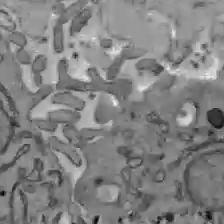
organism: C57BL Mouse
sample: Liver